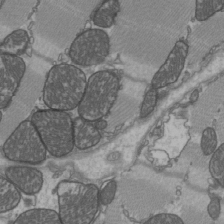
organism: C57BL Mouse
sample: Heart